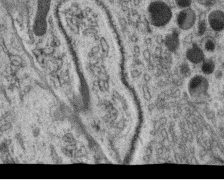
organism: C. elegans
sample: C. elegans oocyte; sperm cells